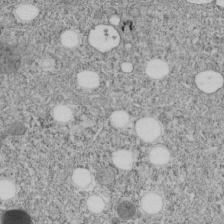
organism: C. elegans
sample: C. elegans embryo early stage